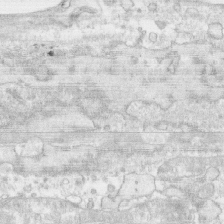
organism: Human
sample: CRL-1474